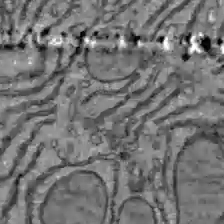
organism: C57BL Mouse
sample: Liver